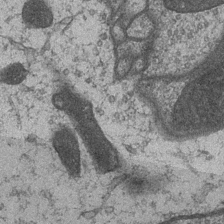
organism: Drosophila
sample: Optic medulla